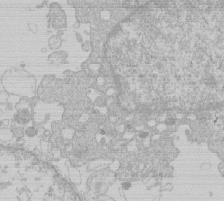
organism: Human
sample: Macrophage cells